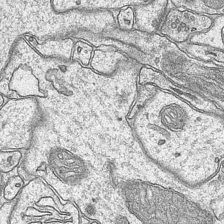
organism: Mouse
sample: CA1 Hippocampus